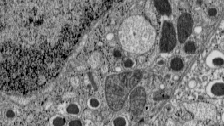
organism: C57BL Mouse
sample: Pancreatic islet